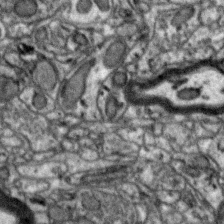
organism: Zebra finch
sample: Brain